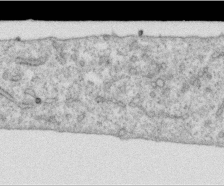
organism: Human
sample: Centriole in RPE cells